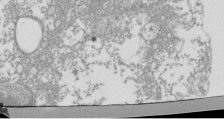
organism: Mouse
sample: Activated Pmel transgenic CD8+ T Cells